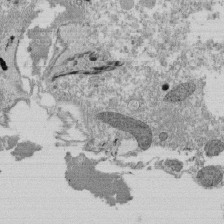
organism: Tetrahymena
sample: Cilia in tetrahymena